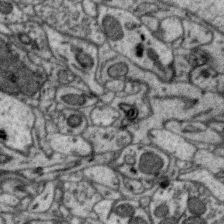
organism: Zebra finch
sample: Brain